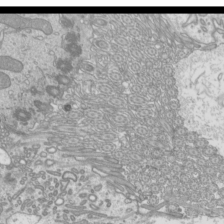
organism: Mouse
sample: Cilia; mouse epididymis